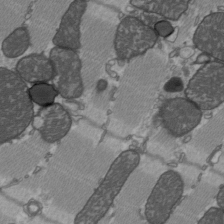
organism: C57BL Mouse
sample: Heart